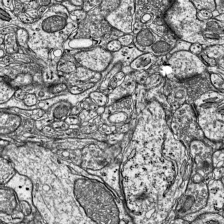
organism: Mouse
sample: Visual Cortex